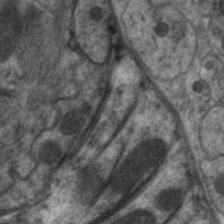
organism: C. elegans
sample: Pharynx